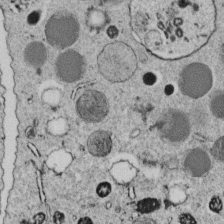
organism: C. elegans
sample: C. elegans embryo early stage